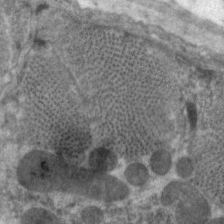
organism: C. elegans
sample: Pharynx